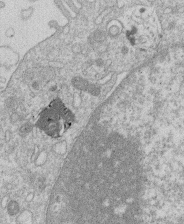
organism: Human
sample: Macrophage cells